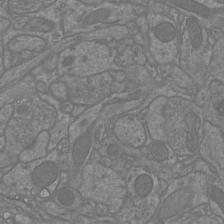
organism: Mouse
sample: Cortical neurons